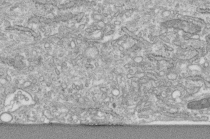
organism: Human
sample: Centriole in fibroblast cells